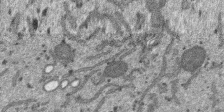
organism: Human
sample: Lung epithelial cells infected with SARS-CoV-2